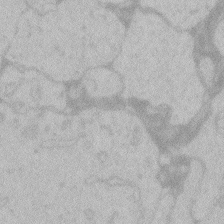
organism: Zebrafish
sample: Macrophage infected with Toxoplasma gondii